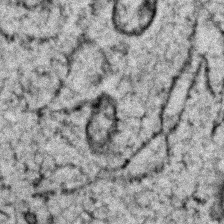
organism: Zebrafish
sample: Zebrafish embryo